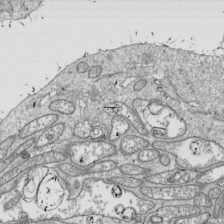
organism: Drosophila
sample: Cell division; meiosis; drosophila spermatocytes